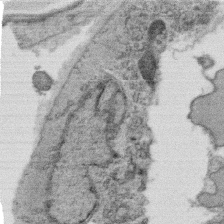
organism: C. elegans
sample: C. elegans oocyte; sperm cells